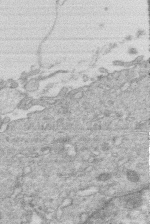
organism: Human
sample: Macrophage cells